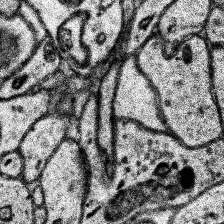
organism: Human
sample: Temporal Lobe